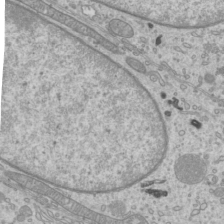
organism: Mouse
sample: Cilia; mouse epididymis